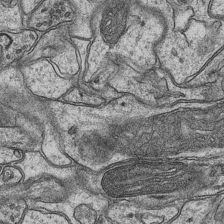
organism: Mouse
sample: CA1 Hippocampus